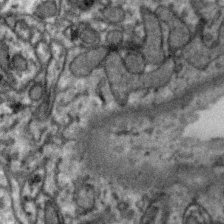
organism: Zebra finch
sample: Brain